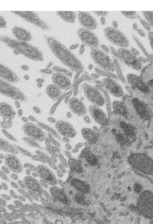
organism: Mouse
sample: Mouse epididymis efferent ductule cilia